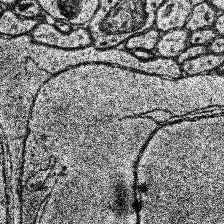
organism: Human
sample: Temporal Lobe